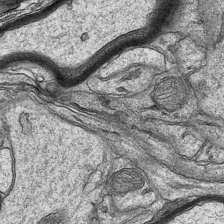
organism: Mouse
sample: CA1 Hippocampus